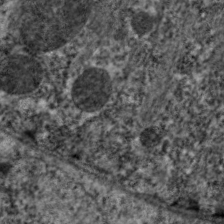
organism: C. elegans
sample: Pharynx